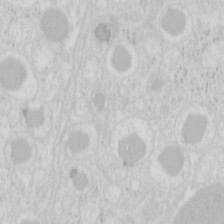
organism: Mouse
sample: Pancreas